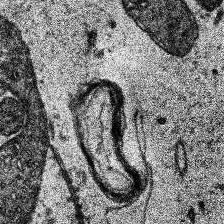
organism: Human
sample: Temporal Lobe